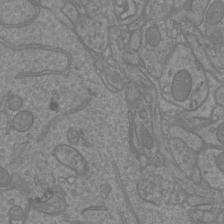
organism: Mouse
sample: Cortical neurons